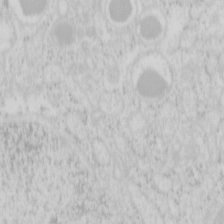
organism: Mouse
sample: Pancreas